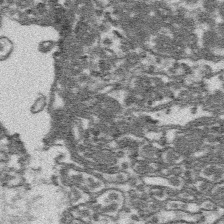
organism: Platynereis dumerilii